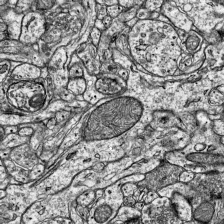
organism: Mouse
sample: Visual Cortex